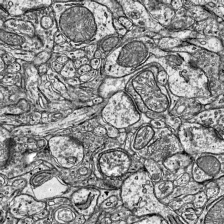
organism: Mouse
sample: Visual Cortex